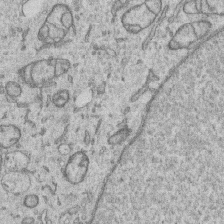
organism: Human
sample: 1205lu cells